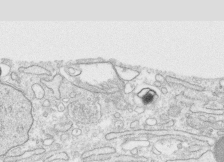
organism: Human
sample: CRL-1474